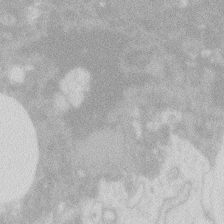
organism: Zebrafish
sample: Macrophage